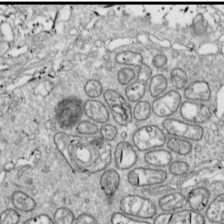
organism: Drosophila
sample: Cell division; meiosis; drosophila spermatocytes